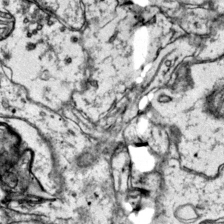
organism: Mouse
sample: Primary visual cortex